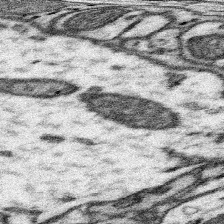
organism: Mouse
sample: Somatosensory cortex neuropil